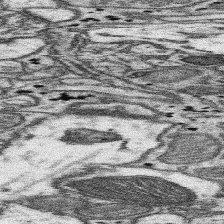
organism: Mouse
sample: Somatosensory cortex neuropil